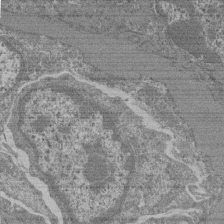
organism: Mouse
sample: Glomerulus